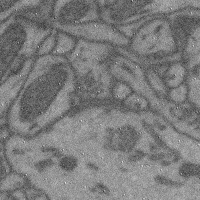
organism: Mouse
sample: Cerebral cortex